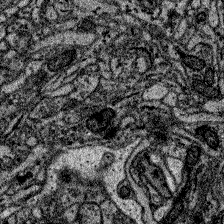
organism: Zebrafish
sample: Larval olfactory bulb